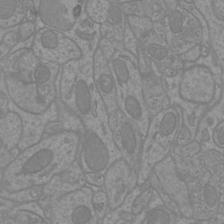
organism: Mouse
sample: Cortical neurons